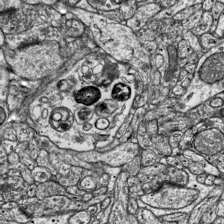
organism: Mouse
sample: Visual Cortex